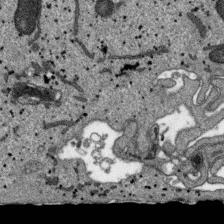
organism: Human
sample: Lung epithelial cells, uninfected (mock) control